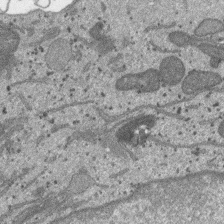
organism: Human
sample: Lung epithelial cells infected with SARS-CoV-2